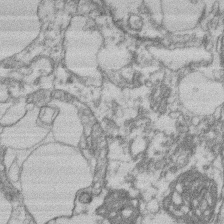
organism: Mouse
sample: T cell stromal cell synapse